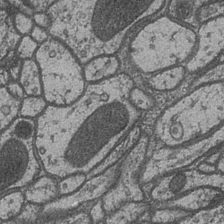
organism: Drosophila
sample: Optic medulla